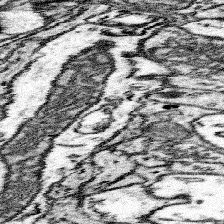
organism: Mouse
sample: Somatosensory cortex neuropil